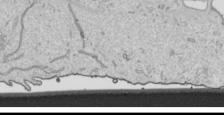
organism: Human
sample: Mitochondria in HCT116 cells